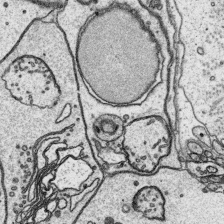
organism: Platynereis dumerilii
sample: Parapodia